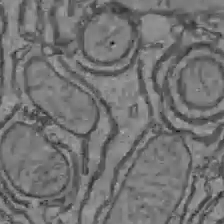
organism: C57BL Mouse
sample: Liver